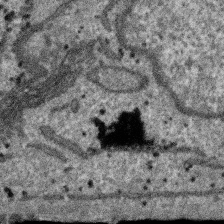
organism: Human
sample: Lung epithelial cells infected with SARS-CoV-2